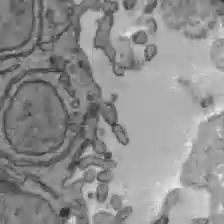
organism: C57BL Mouse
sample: Liver